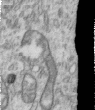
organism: Human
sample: Centriole in RPE cells